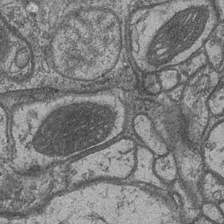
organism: Drosophila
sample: Optic medulla